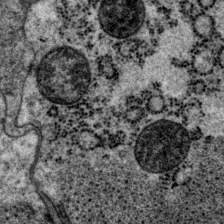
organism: P. pacificus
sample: Pharynx